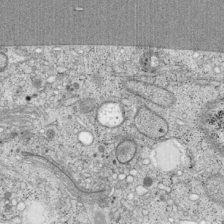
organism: African green monkey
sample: COS-7 cells